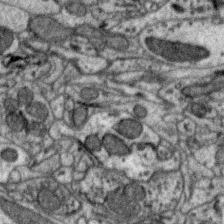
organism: Zebra finch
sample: Brain